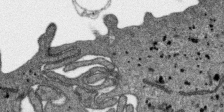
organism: Human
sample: Lung epithelial cells, uninfected (mock) control